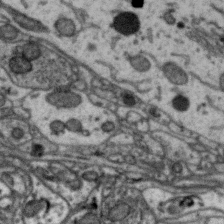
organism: Zebra finch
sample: Brain